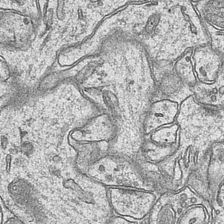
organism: Mouse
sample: CA1 Hippocampus